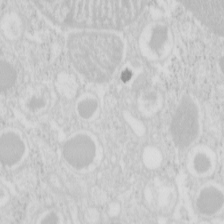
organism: Mouse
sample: Pancreas